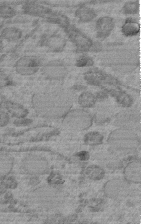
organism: C. elegans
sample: C. elegans embryo early stage